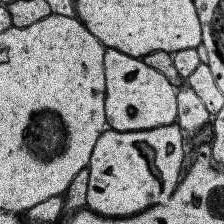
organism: Human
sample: Temporal Lobe